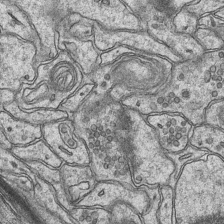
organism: Mouse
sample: CA1 Hippocampus